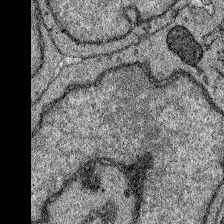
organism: Zebrafish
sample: Larval olfactory bulb